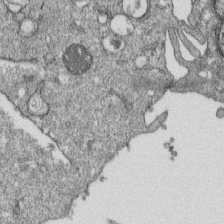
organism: African green monkey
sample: Vero E6 cells infected with SARS-CoV-2